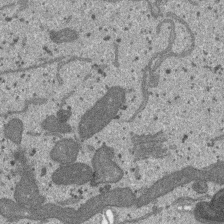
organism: Human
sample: Lung epithelial cells infected with SARS-CoV-2